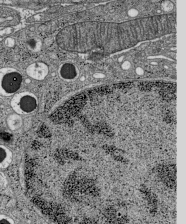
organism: C57BL Mouse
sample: Pancreatic islet